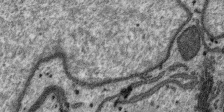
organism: Human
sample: Lung epithelial cells, uninfected (mock) control